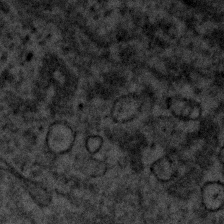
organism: Human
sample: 1205lu cells